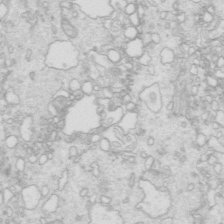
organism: Mouse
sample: Multiciliated cells